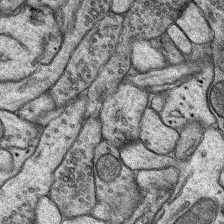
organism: Rat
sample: Hippocampus